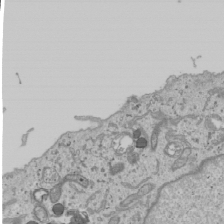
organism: Human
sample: Mitochondria in U2OS cells